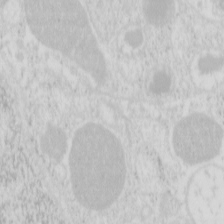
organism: Mouse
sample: Pancreas